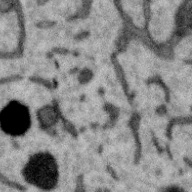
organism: Zebra finch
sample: Brain